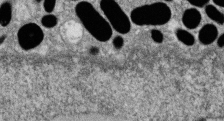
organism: Zebrafish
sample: Cilia; retinal pigment epithelium